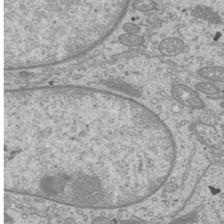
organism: Mouse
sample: Cilia; mouse epididymis